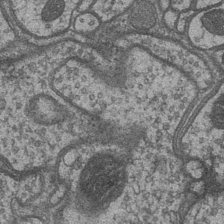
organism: Drosophila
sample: Optic medulla